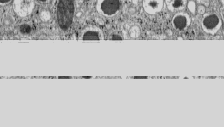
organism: C57BL Mouse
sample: Pancreatic islet